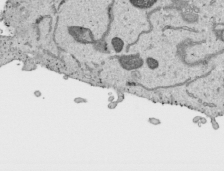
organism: Human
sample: Mitochondria in HCT116 cells